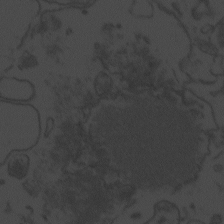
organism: Zebrafish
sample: Macrophage infected with Toxoplasma gondii